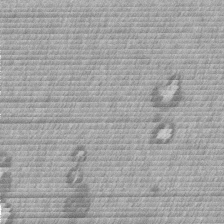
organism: Mouse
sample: Dividing mouse embryo 1 cell stage